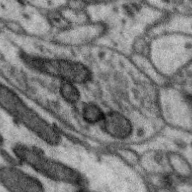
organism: Zebra finch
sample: Brain